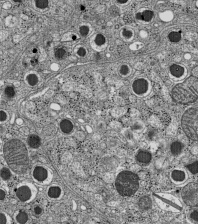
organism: C57BL Mouse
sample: Pancreatic islet